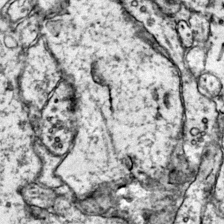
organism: Mouse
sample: Primary visual cortex